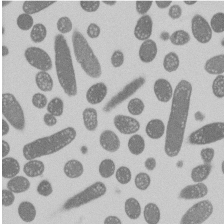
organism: E. coli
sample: Bacterial nucleoid